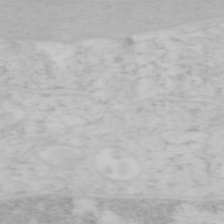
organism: Mouse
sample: OT-I killer T cells with ID8 ovarian cancer cells